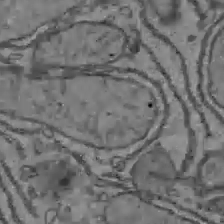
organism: C57BL Mouse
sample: Liver